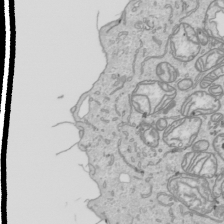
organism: Human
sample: Mitochondria in HCT116 cells